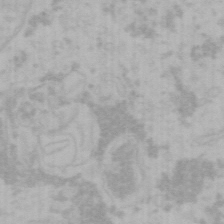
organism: Mouse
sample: Choroid plexus